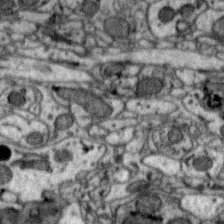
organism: Zebra finch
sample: Brain